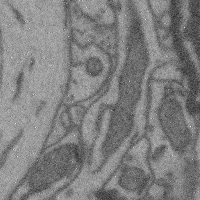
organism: Mouse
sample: Cerebral cortex